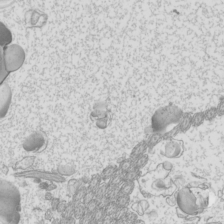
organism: Mouse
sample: Cilia; mouse epididymis